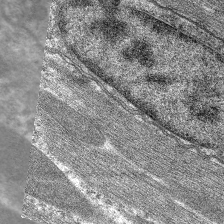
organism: C. elegans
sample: Pharynx